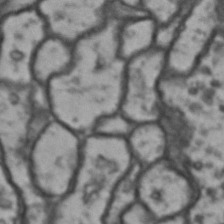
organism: Drosophila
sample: Brain